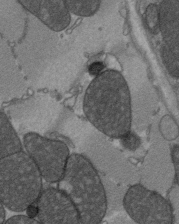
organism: C57BL Mouse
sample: Heart